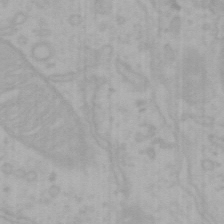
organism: Mouse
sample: Choroid plexus